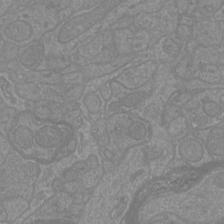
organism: Mouse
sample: Cortical neurons